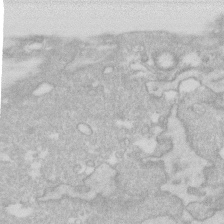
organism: Human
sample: Fibroblast cells